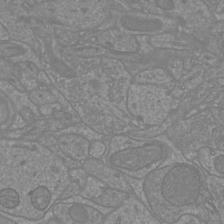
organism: Mouse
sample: Cortical neurons